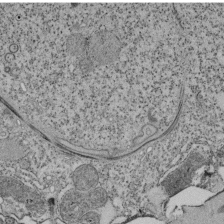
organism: Tetrahymena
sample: Cilia in tetrahymena